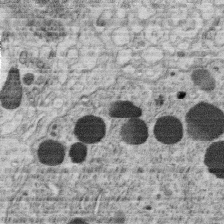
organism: C. elegans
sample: C. elegans oocyte; sperm cells